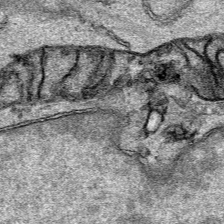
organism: Human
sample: Mitochondria in HCT116 cells